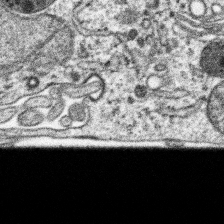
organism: Human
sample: HeLa cells